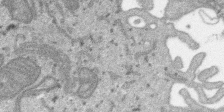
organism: Human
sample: Lung epithelial cells infected with SARS-CoV-2